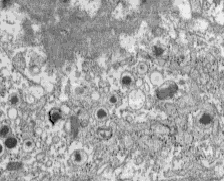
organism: C57BL Mouse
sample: Pancreatic islet